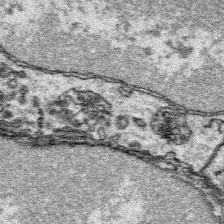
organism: Platynereis dumerilii